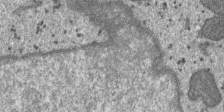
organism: Human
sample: Lung epithelial cells infected with SARS-CoV-2